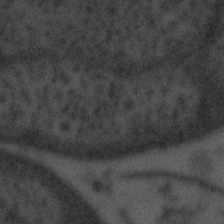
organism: Tuwongella immobilis